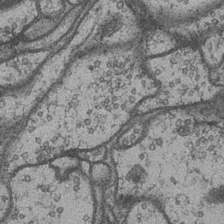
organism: Drosophila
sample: Optic medulla